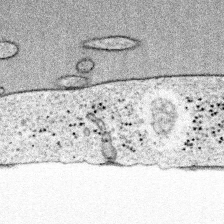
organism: Human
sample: HeLa cells